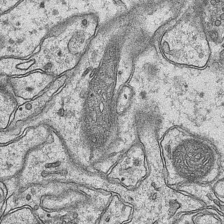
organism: Mouse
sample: CA1 Hippocampus